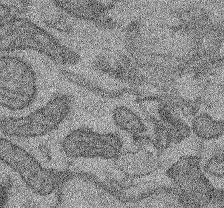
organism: Human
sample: HeLa cells